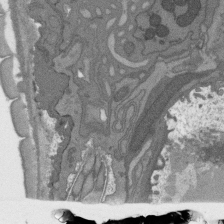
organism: C. elegans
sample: AFD neurons C. elegans